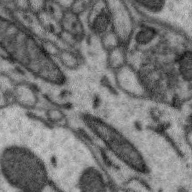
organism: Zebra finch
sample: Brain